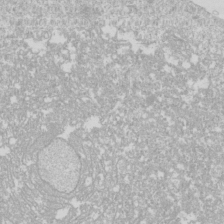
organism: Drosophila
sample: Cell division; meiosis; drosophila spermatocytes